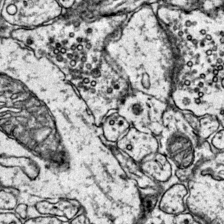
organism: Mouse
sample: Primary visual cortex